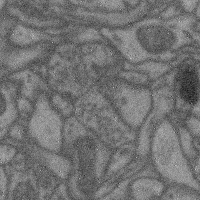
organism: Mouse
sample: Cerebral cortex